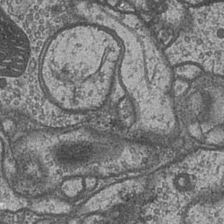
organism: Drosophila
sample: Optic medulla